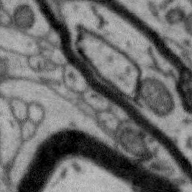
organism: Zebra finch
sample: Brain